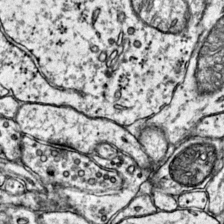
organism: Mouse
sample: Primary visual cortex